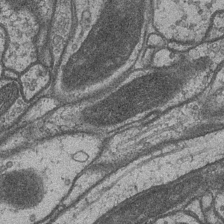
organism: Drosophila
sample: Optic medulla